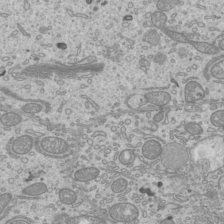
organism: Mouse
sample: Cilia; mouse epididymis